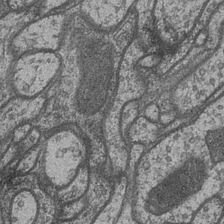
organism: Drosophila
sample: Optic medulla